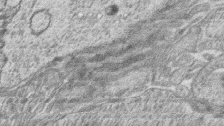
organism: Zebrafish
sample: synaptic ribbons in rod cells and cone cells